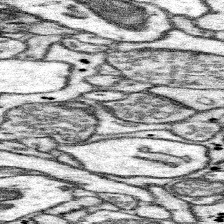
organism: Mouse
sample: Somatosensory cortex neuropil